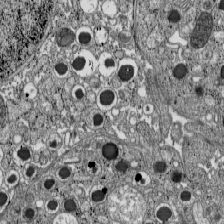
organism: C57BL Mouse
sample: Pancreatic islet